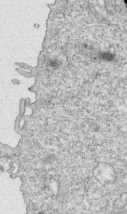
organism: Human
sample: HeLa cell HIV synapse